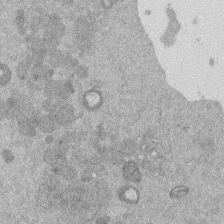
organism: Mouse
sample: Dividing mouse embryo 1 cell stage